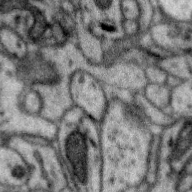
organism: Zebra finch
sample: Brain